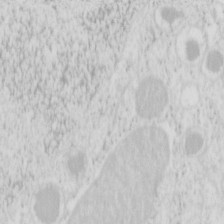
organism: Mouse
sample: Pancreas